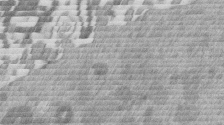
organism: Mouse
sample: Dividing mouse embryo 1 cell stage